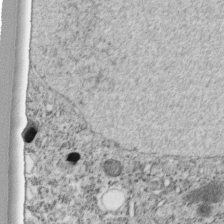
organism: C. elegans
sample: C. elegans embryo early stage